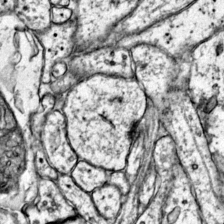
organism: Mouse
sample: Primary visual cortex